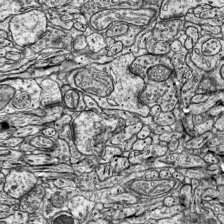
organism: Mouse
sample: Visual Cortex